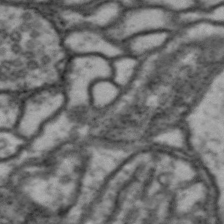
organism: Drosophila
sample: Brain